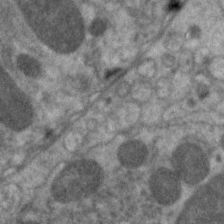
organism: C. elegans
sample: Pharynx